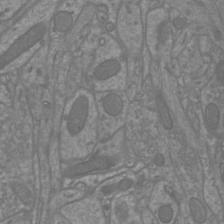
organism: Mouse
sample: Cortical neurons